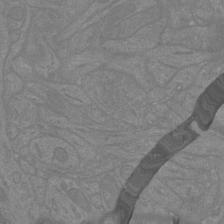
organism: Mouse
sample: Cortical neurons